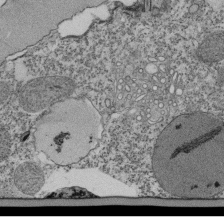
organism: Tetrahymena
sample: Cilia in tetrahymena